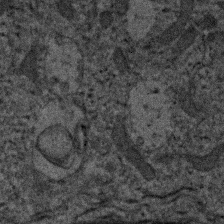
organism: Human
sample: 1205lu cells